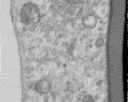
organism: Human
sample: Centriole in RPE cells